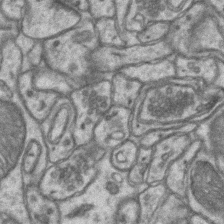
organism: Mouse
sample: CA1 Hippocampus